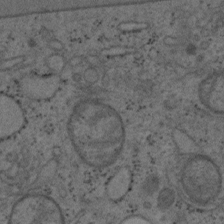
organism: Human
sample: HeLa cells